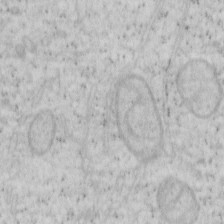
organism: Human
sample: HeLa cells